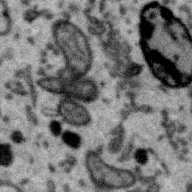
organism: Zebra finch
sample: Brain